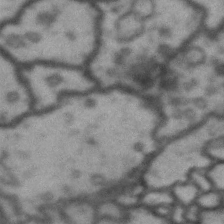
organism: Drosophila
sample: Brain